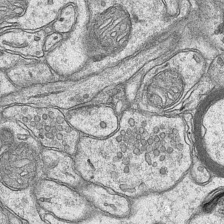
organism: Mouse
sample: CA1 Hippocampus